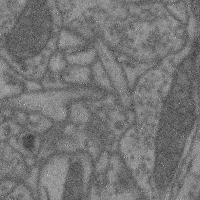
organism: Mouse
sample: Cerebral cortex